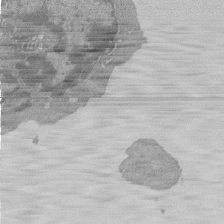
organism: Mouse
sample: Activated Pmel transgenic CD8+ T Cells